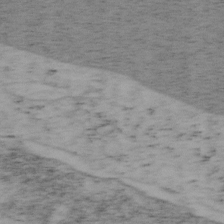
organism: Mouse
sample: OT-I killer T cells with ID8 ovarian cancer cells